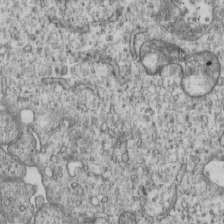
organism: Human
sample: MDA-MB-231 cells